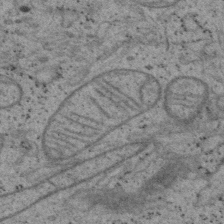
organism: Human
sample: HeLa cells